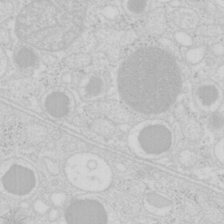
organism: Mouse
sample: Pancreas